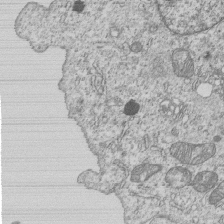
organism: Human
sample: MDA-MB-231 cells